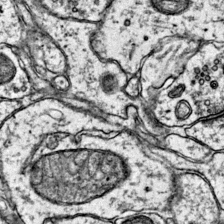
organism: Mouse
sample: Primary visual cortex